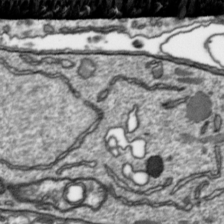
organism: Toxoplasma gondii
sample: Parasites in a vacuole inside a host cell